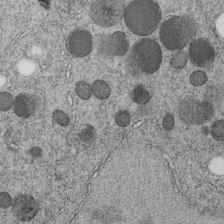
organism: C. elegans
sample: C. elegans embryo early stage